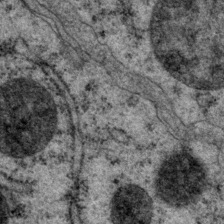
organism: P. pacificus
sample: Pharynx